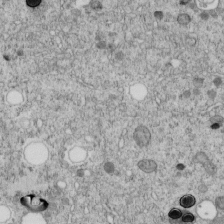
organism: C. elegans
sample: C. elegans embryo early stage